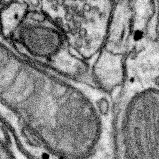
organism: Mouse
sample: Somatosensory cortex neuropil